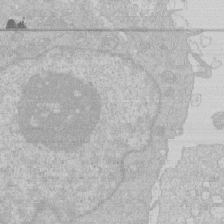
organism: Human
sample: Macrophage cells